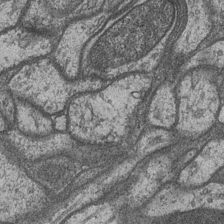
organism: Drosophila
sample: Optic medulla